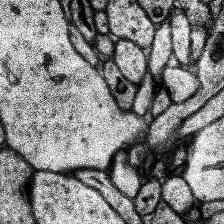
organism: Human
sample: Temporal Lobe